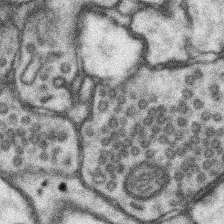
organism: Mouse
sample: Somatosensory cortex neuropil